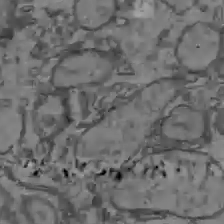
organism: C57BL Mouse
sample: Liver